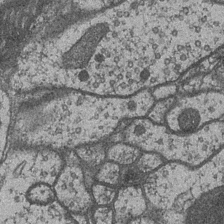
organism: Drosophila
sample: Optic medulla